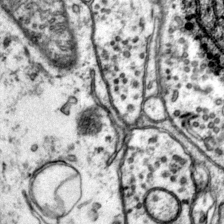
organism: Mouse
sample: Primary visual cortex